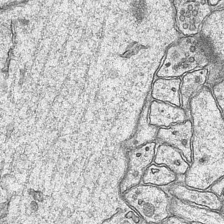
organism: Mouse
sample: CA1 Hippocampus